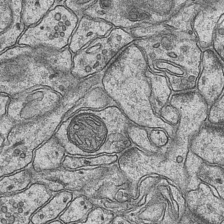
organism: Mouse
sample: CA1 Hippocampus